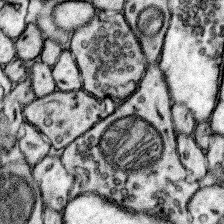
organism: Mouse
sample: Somatosensory cortex neuropil